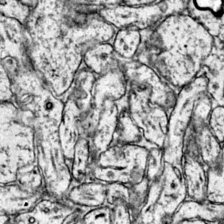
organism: Mouse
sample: Primary visual cortex